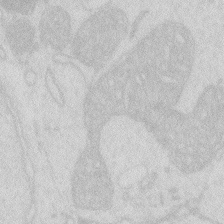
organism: Zebrafish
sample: Macrophage